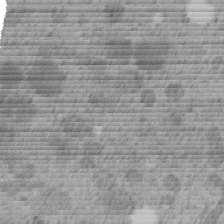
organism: C. elegans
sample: C. elegans embryo early stage